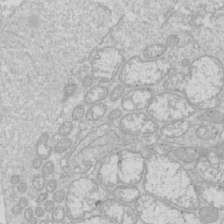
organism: Drosophila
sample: Cell division; meiosis; drosophila spermatocytes